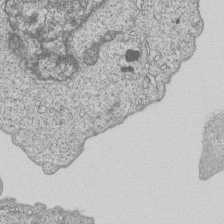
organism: Human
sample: MDA-MB-231 cells